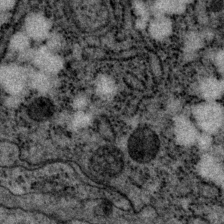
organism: P. pacificus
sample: Pharynx